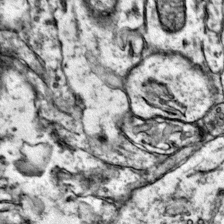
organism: Mouse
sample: Primary visual cortex